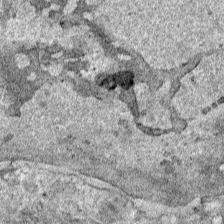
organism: Human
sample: Mitochondria in HCT116 cells